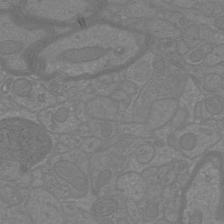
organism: Mouse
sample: Cortical neurons